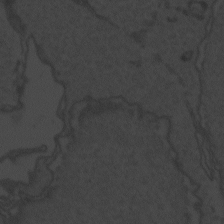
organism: Zebrafish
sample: Macrophage infected with Toxoplasma gondii